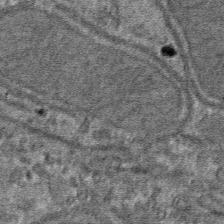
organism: Mouse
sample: Mouse hepatocytes